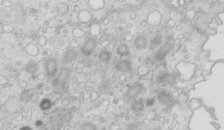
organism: Mouse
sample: Multiciliated cells